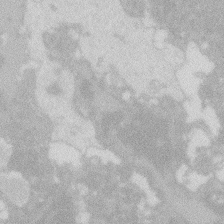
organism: Zebrafish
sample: Macrophage